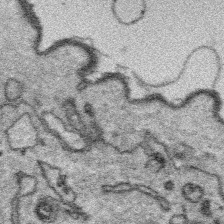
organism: Platynereis dumerilii